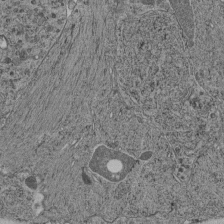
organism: C. elegans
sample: C. elegans pharynx